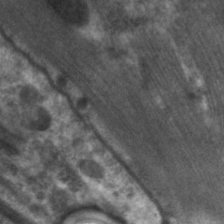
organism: C. elegans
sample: Pharynx